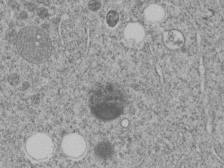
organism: C. elegans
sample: C. elegans embryo early stage